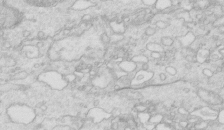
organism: Mouse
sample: Multiciliated cells